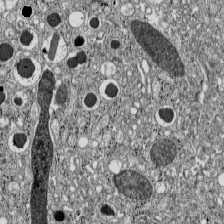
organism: C57BL Mouse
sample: Pancreatic islet